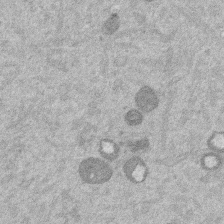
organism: Mouse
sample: Dividing mouse embryo 1 cell stage